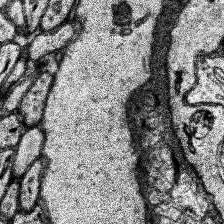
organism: Human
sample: Temporal Lobe